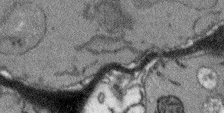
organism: Arabidopsis thaliana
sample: Root tip